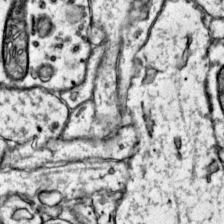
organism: Mouse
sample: Primary visual cortex